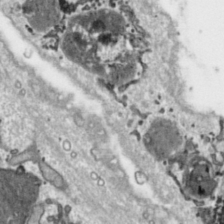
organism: Toxoplasma gondii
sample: Parasites in a vacuole inside a host cell